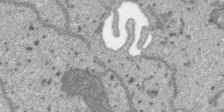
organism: Human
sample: Lung epithelial cells infected with SARS-CoV-2